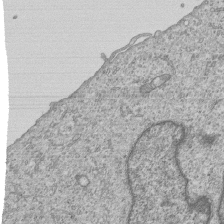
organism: Human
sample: MDA-MB-231 cells